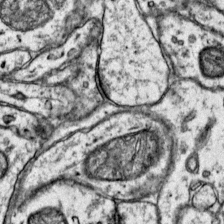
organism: Mouse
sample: Primary visual cortex